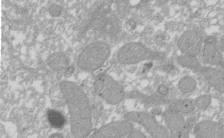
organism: Xenopus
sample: Cilia; centrioles in frog embryo cells